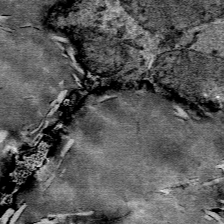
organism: Mouse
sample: Mouse Salivary gland